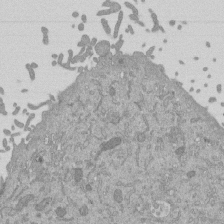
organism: Mouse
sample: ED-1 cell nuclei; centrioles